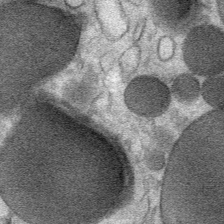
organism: Mouse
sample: Mouse Salivary gland